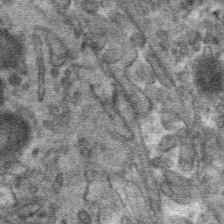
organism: Mouse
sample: Mouse hepatocytes